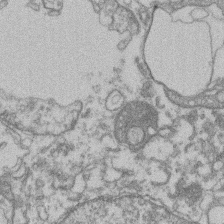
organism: Mouse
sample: T cell stromal cell synapse